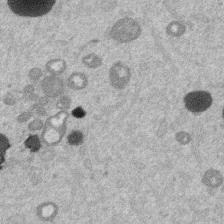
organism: Mouse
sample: Dividing mouse embryo 1 cell stage